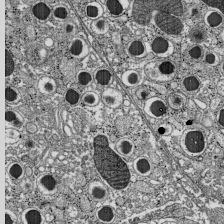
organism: C57BL Mouse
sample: Pancreatic islet